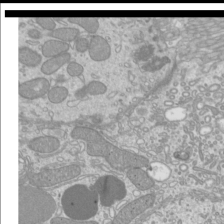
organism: Mouse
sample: Cilia; mouse epididymis